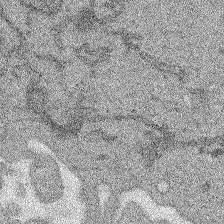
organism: Human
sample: HeLa cells